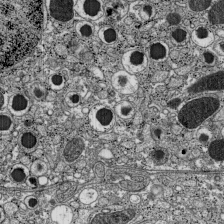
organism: C57BL Mouse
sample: Pancreatic islet